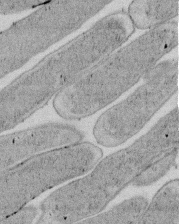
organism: E. coli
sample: Bacterial nucleoid